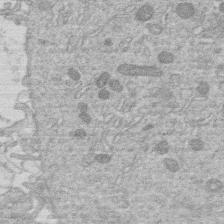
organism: Human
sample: Macrophage cells